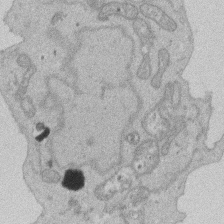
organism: Human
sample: Activated Jurkat CD4+ T cells